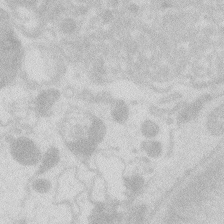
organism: Zebrafish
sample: Macrophage